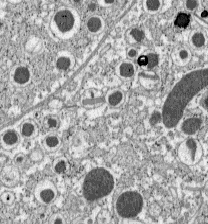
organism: C57BL Mouse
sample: Pancreatic islet